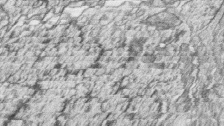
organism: Zebrafish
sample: synaptic ribbons in rod cells and cone cells